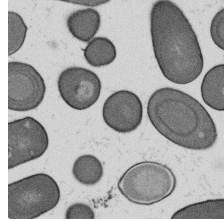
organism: B. subtilis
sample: Bacterial spore